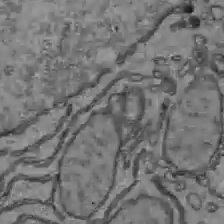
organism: C57BL Mouse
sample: Liver